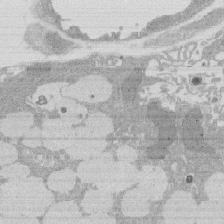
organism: Rat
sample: Salivary granule